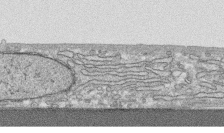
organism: Human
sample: CRL-1474